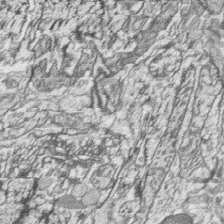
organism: Zebrafish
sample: synaptic ribbons in rod cells and cone cells